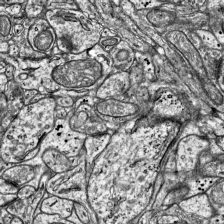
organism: Mouse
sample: Visual Cortex